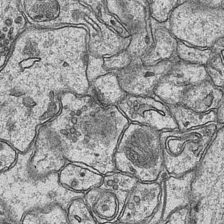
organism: Mouse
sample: CA1 Hippocampus